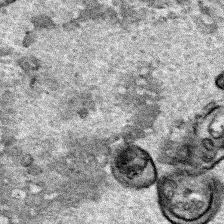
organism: Human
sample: Mitochondria in HCT116 cells